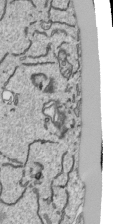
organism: Human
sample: Mitochondria in HCT116 cells